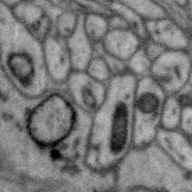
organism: Zebra finch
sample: Brain